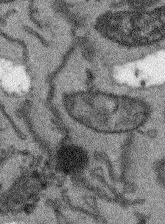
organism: Arabidopsis thaliana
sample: Root tip